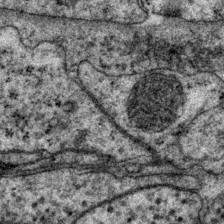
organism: P. pacificus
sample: Pharynx